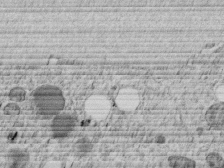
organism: C. elegans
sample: C. elegans embryo early stage